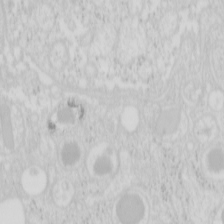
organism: Mouse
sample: Pancreas